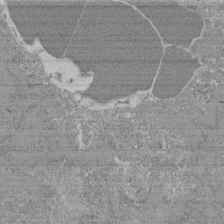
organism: Mouse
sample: Glomerulus